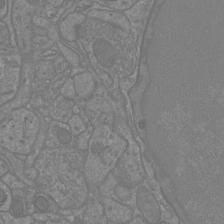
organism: Mouse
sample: Cortical neurons